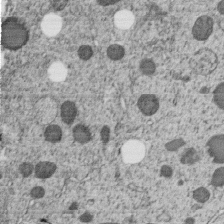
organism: C. elegans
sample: C. elegans embryo early stage